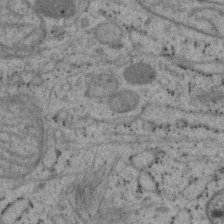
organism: Human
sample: HeLa cells